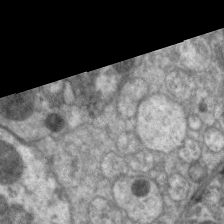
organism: C. elegans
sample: Pharynx